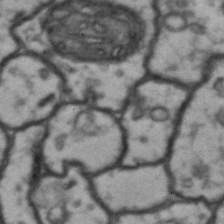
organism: Drosophila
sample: Brain